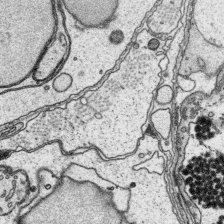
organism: Platynereis dumerilii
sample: Parapodia